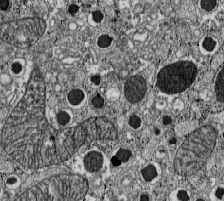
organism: C57BL Mouse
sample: Pancreatic islet